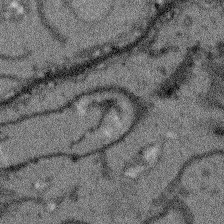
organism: Arabidopsis thaliana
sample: Root tip